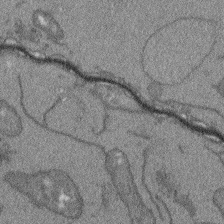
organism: Arabidopsis thaliana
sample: Root tip